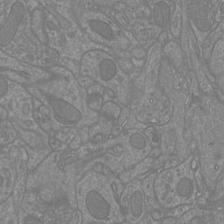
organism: Mouse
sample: Cortical neurons